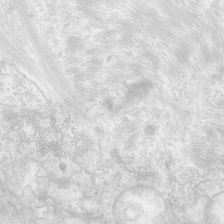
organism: Human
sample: Neocortex